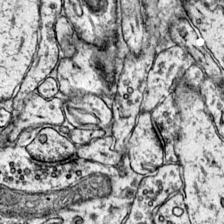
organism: Mouse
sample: Primary visual cortex